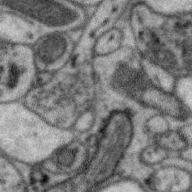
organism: Zebra finch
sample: Brain